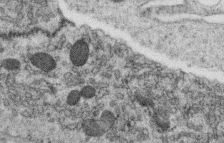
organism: C. elegans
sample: C. elegans oocyte; sperm cells